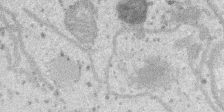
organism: Human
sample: Lung epithelial cells infected with SARS-CoV-2